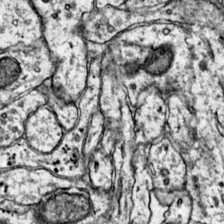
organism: Mouse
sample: Primary visual cortex